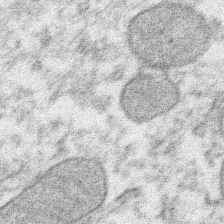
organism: Xenopus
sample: Cilia; centrioles in frog embryo cells